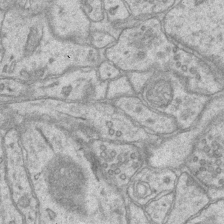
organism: Mouse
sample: CA1 Hippocampus